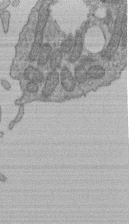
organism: Human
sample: Retinal organoid Rod and Cone cells